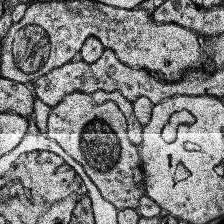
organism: Human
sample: Temporal Lobe